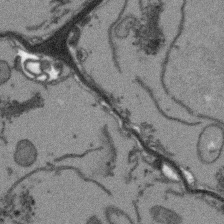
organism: Arabidopsis thaliana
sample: Root tip